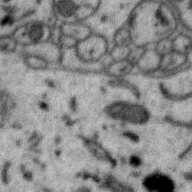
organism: Zebra finch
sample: Brain